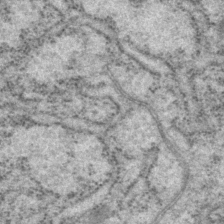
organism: P. pacificus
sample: Pharynx